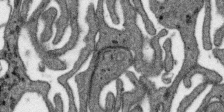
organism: Human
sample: Lung epithelial cells, uninfected (mock) control